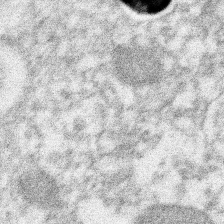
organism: Xenopus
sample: Cilia; centrioles in frog embryo cells